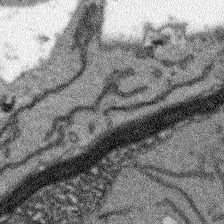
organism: Arabidopsis thaliana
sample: Root tip